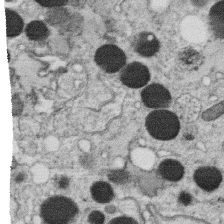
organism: C. elegans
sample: C. elegans oocyte; sperm cells